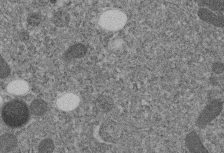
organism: C. elegans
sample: C. elegans embryo early stage